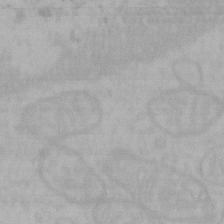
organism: Mouse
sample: Choroid plexus